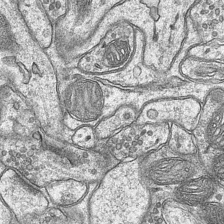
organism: Mouse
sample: CA1 Hippocampus